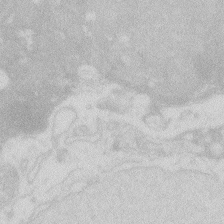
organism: Zebrafish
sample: Macrophage